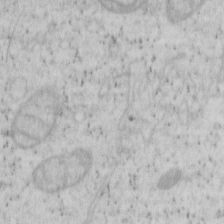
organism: Human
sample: HeLa cells